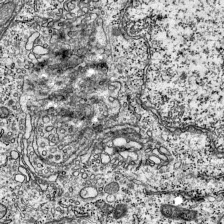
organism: Mouse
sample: Visual Cortex